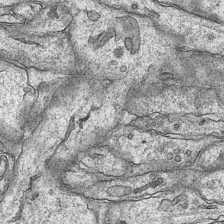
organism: Mouse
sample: CA1 Hippocampus